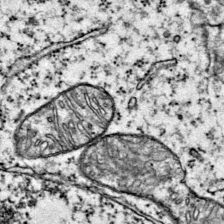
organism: Mouse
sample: Primary visual cortex